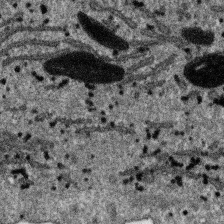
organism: Human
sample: Lung epithelial cells infected with SARS-CoV-2